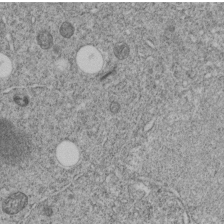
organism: C. elegans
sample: C. elegans embryo early stage